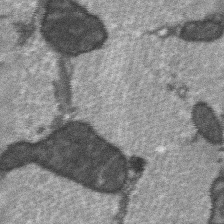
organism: C57BL Mouse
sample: Soleus